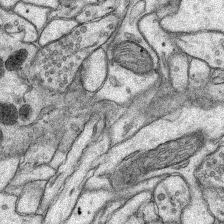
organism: Rat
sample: Hippocampus